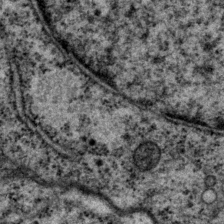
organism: P. pacificus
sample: Pharynx